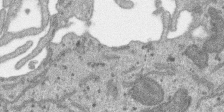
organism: Human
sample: Lung epithelial cells infected with SARS-CoV-2